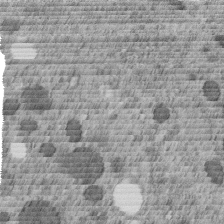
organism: C. elegans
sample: C. elegans embryo early stage